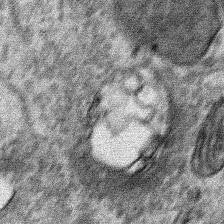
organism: Human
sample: Mitochondria in HCT116 cells